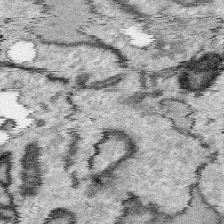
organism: Human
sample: HeLa cells